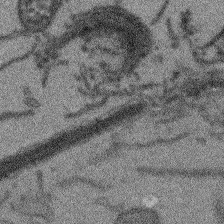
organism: Arabidopsis thaliana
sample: Root tip